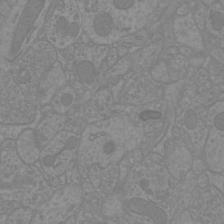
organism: Mouse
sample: Cortical neurons